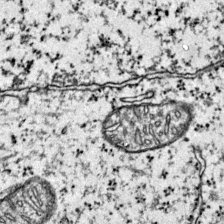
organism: Mouse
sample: Primary visual cortex